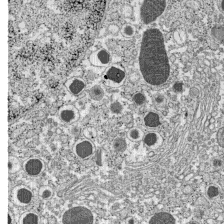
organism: C57BL Mouse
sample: Pancreatic islet